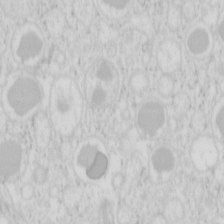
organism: Mouse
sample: Pancreas